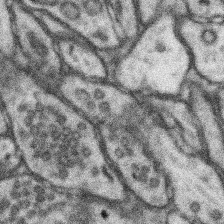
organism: Mouse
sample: Somatosensory cortex neuropil